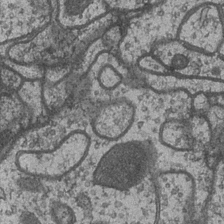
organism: Drosophila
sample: Optic medulla